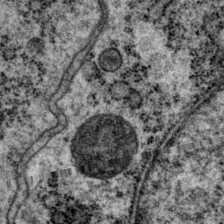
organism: P. pacificus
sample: Pharynx